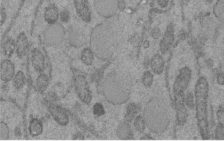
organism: C. elegans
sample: C. elegans embryo early stage